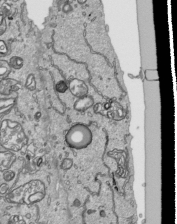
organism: Human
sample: Mitochondria in HCT116 cells